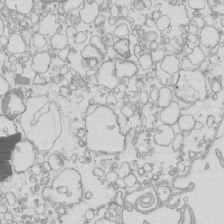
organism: Mouse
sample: Macrophages